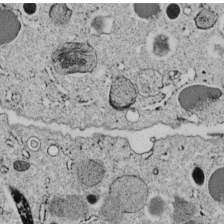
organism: C. elegans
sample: C. elegans embryo early stage